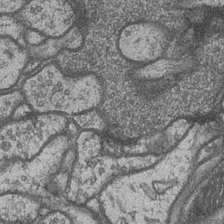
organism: Drosophila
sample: Optic medulla